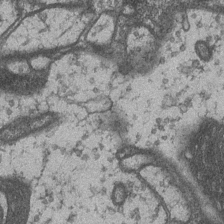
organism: Drosophila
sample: Optic medulla